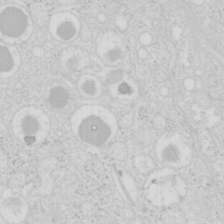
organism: Mouse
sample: Pancreas